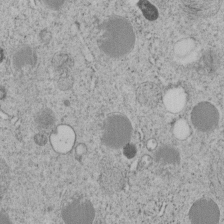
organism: C. elegans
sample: C. elegans embryo early stage